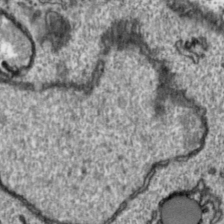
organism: Toxoplasma gondii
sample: Parasites in a vacuole inside a host cell